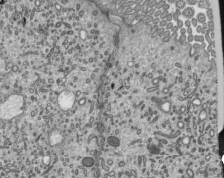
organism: Mouse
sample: Mouse epididymis efferent ductule cilia